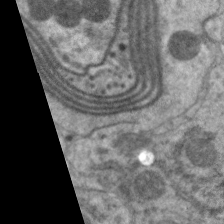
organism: C. elegans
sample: Pharynx